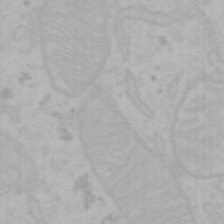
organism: Mouse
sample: Choroid plexus